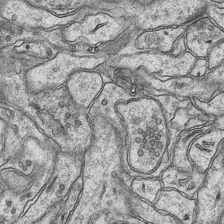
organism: Mouse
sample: CA1 Hippocampus